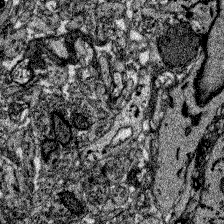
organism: Zebrafish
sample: Larval olfactory bulb